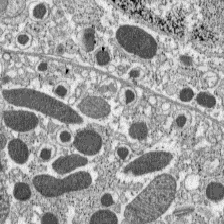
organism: C57BL Mouse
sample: Pancreatic islet